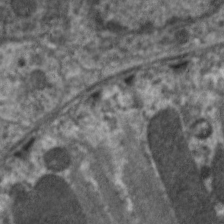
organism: C. elegans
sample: Pharynx